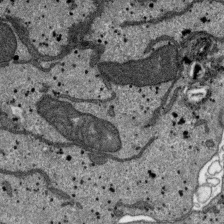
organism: Human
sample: Lung epithelial cells, uninfected (mock) control